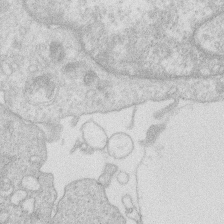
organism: Human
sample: Macrophage cells